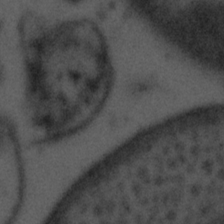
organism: Tuwongella immobilis